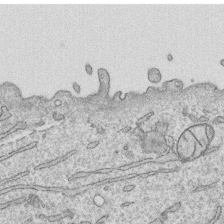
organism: Human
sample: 1205lu cells